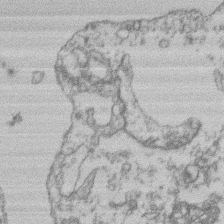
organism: Mouse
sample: T cell stromal cell synapse